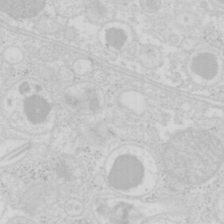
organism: Mouse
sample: Pancreas